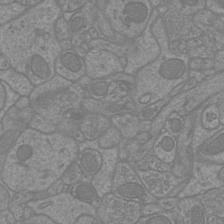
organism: Mouse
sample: Cortical neurons